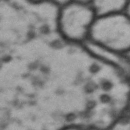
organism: Drosophila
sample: Brain